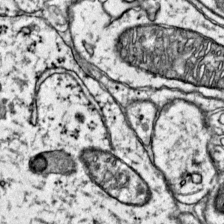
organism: Mouse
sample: Primary visual cortex